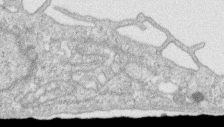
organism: Human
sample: HeLa cell HIV synapse